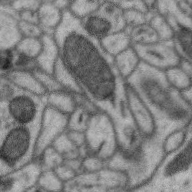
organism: Zebra finch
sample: Brain